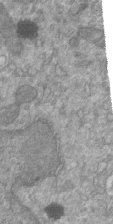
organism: Mouse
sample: ED-1 cell nuclei; centrioles